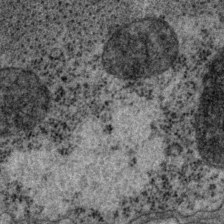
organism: P. pacificus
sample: Pharynx